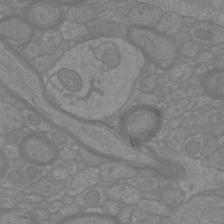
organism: Mouse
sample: Cortical neurons